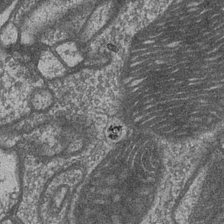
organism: Drosophila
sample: Optic medulla